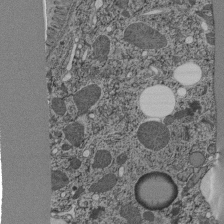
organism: C. elegans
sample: C. elegans pharynx